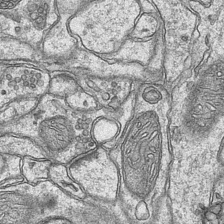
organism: Mouse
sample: CA1 Hippocampus